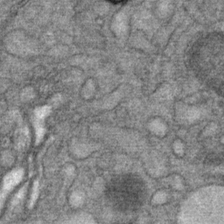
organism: Mouse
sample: Mouse Salivary gland